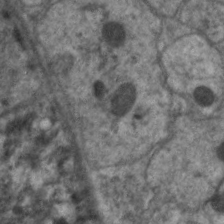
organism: C. elegans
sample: Pharynx